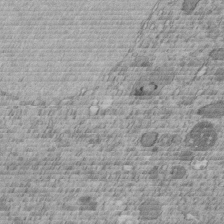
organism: C. elegans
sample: C. elegans embryo early stage